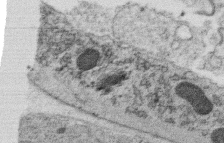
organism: C. elegans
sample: C. elegans oocyte; sperm cells